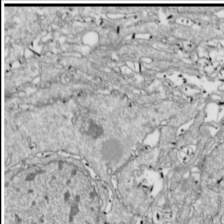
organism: Drosophila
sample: Cell division; meiosis; drosophila spermatocytes